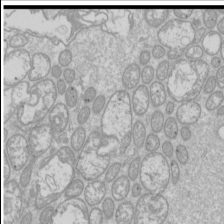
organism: Drosophila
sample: Cell division; meiosis; drosophila spermatocytes